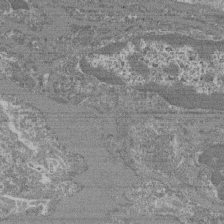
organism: Mouse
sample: Glomerulus